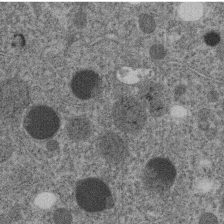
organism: C. elegans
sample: C. elegans embryo early stage